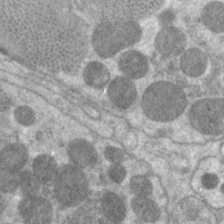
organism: C. elegans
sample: Pharynx